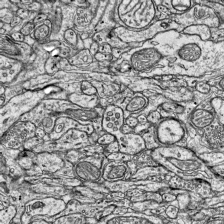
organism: Mouse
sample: Visual Cortex